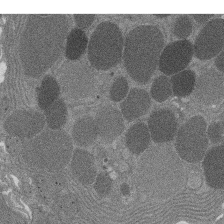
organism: Rat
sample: Salivary granule